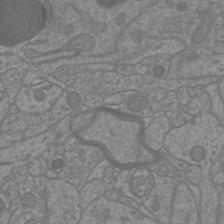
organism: Mouse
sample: Cortical neurons